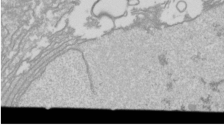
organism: Drosophila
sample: Cell division; meiosis; drosophila spermatocytes